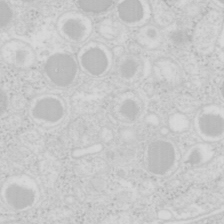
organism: Mouse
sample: Pancreas